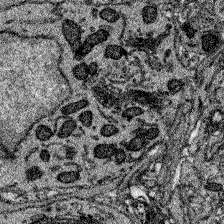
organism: Zebrafish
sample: Larval olfactory bulb